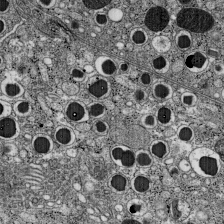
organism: C57BL Mouse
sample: Pancreatic islet